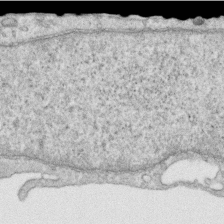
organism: Human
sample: Centriole in RPE cells